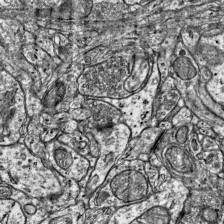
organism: Mouse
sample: Visual Cortex